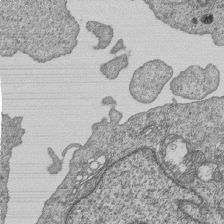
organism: Human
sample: MDA-MB-231 cells